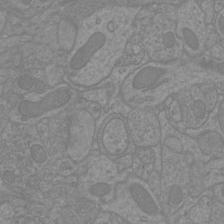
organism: Mouse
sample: Cortical neurons